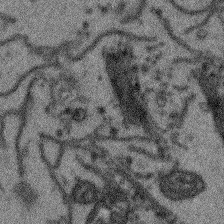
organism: Arabidopsis thaliana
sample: Root tip